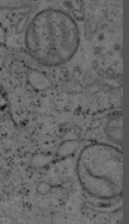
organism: Human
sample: HeLa cells